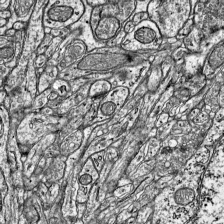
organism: Mouse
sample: Visual Cortex